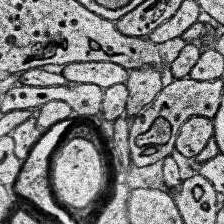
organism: Human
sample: Temporal Lobe